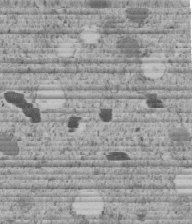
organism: C. elegans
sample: C. elegans embryo early stage